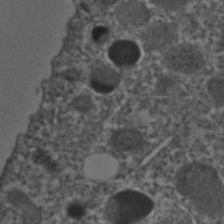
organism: C. elegans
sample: C. elegans embryo